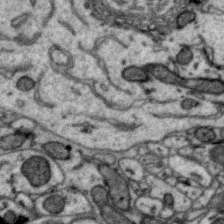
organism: Zebra finch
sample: Brain